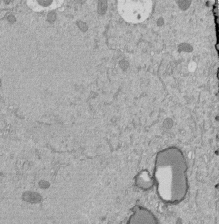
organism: Mouse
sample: ED-1 cell nuclei; centrioles